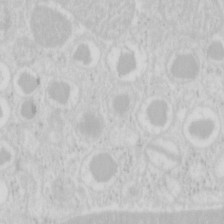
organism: Mouse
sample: Pancreas